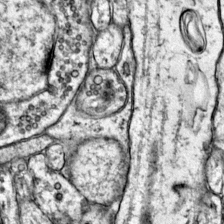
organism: Mouse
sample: Primary visual cortex